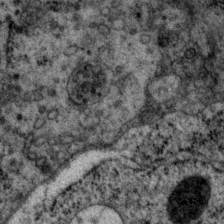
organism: P. pacificus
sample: Pharynx